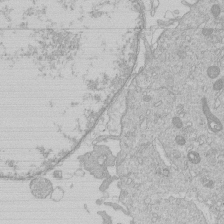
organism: Human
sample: Macrophage cells